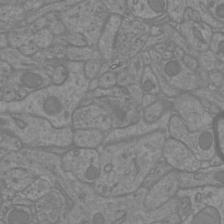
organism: Mouse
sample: Cortical neurons